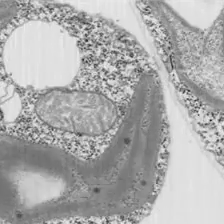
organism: Chlamydomonas reinhardtii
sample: Whole Cell